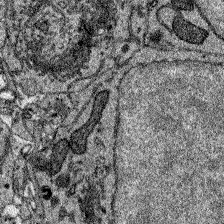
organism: Zebrafish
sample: Larval olfactory bulb